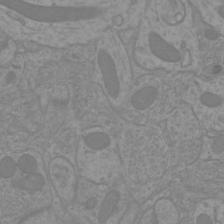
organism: Mouse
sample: Cortical neurons